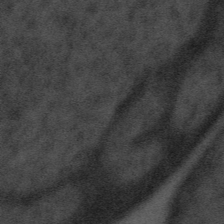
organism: Tuwongella immobilis